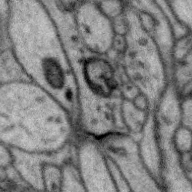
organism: Zebra finch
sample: Brain